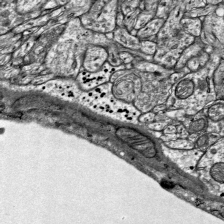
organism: Mouse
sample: Visual Cortex